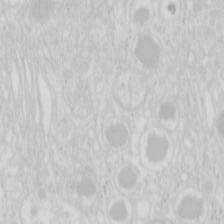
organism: Mouse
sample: Pancreas